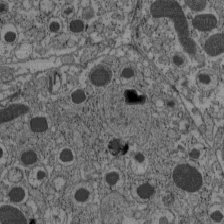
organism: C57BL Mouse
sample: Pancreatic islet